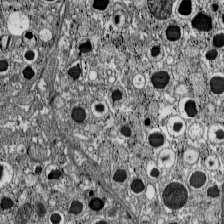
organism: C57BL Mouse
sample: Pancreatic islet